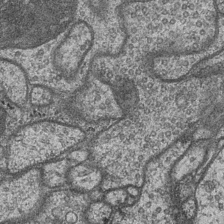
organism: Drosophila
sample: Optic medulla